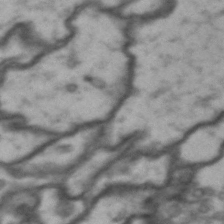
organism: Drosophila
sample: Brain